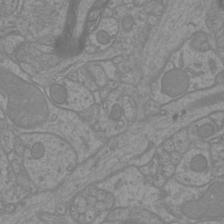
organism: Mouse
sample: Cortical neurons